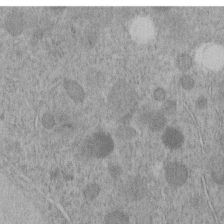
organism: C. elegans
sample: C. elegans embryo early stage